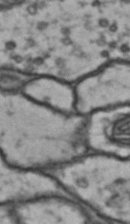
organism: Drosophila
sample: Brain